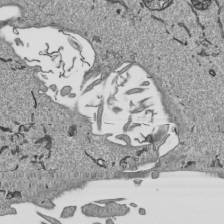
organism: Human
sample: Mitochondria in HCT116 cells